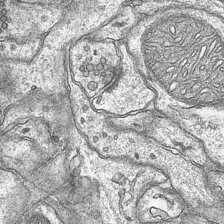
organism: Mouse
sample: CA1 Hippocampus